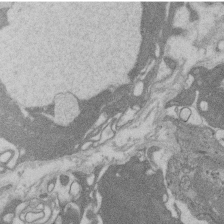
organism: Rat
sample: Salivary granule